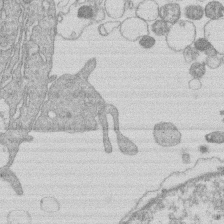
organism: Human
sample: Macrophage cells